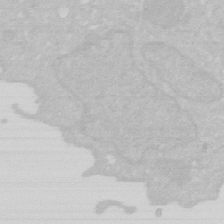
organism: Human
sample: HIV infected U937 cells